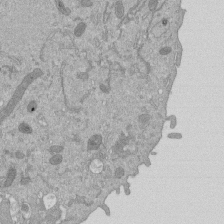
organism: Mouse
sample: ED-1 cell nuclei; centrioles